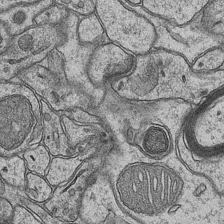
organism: Mouse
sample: CA1 Hippocampus